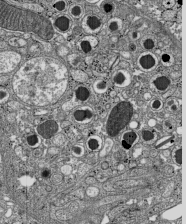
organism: C57BL Mouse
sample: Pancreatic islet